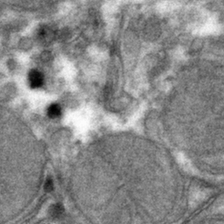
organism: Mouse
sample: Mouse hepatocytes